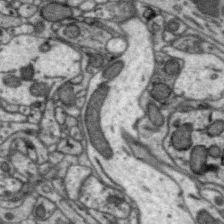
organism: Zebra finch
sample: Brain